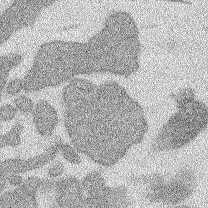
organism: Human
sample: HeLa cells